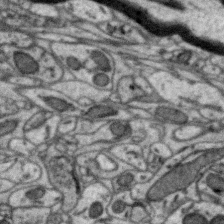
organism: Zebra finch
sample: Brain